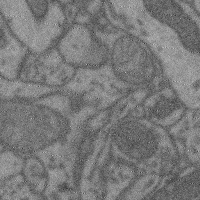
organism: Mouse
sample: Cerebral cortex